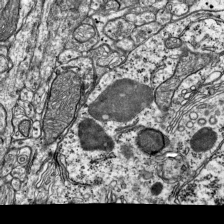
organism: Mouse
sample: Visual Cortex